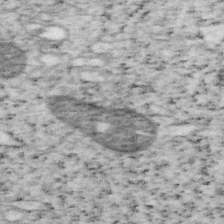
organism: Mouse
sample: OT-I killer T cells with ID8 ovarian cancer cells